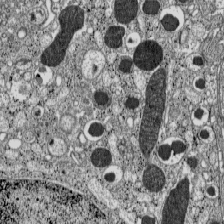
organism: C57BL Mouse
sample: Pancreatic islet